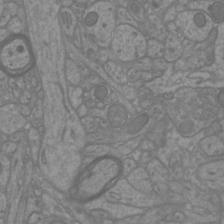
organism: Mouse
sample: Cortical neurons